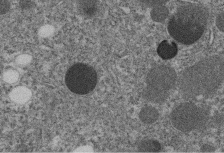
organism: C. elegans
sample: C. elegans embryo early stage